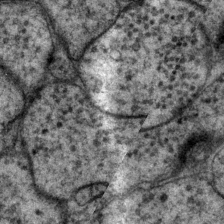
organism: P. pacificus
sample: Pharynx